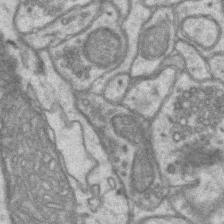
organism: Mouse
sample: CA1 Hippocampus